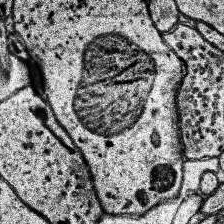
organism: Human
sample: Temporal Lobe